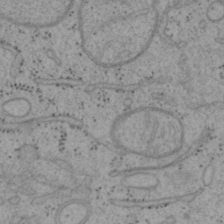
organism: Human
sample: HeLa cells